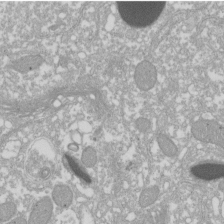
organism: Xenopus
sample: Cilia; centrioles in frog embryo cells